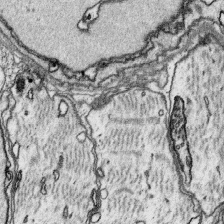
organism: Platynereis dumerilii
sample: Parapodia